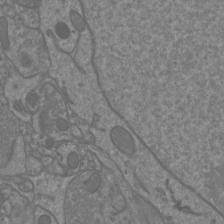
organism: Mouse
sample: Cortical neurons